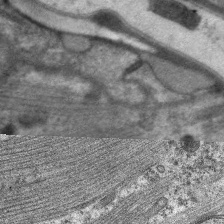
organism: C. elegans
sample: Pharynx